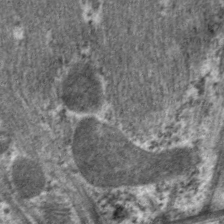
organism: C. elegans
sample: Pharynx